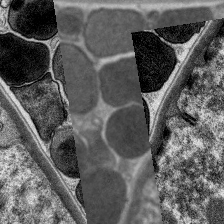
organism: C. elegans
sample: Pharynx